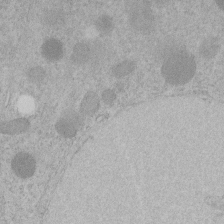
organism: C. elegans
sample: C. elegans embryo early stage